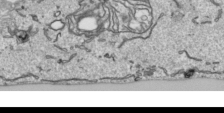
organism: Human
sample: Mitochondria in HCT116 cells